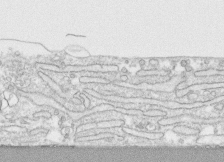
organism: Human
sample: CRL-1474